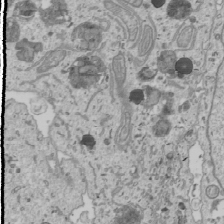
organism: Human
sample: Mitochondria in U2OS cells